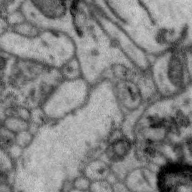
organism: Zebra finch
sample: Brain